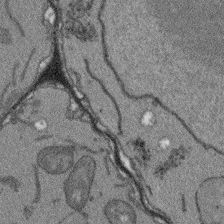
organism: Arabidopsis thaliana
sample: Root tip